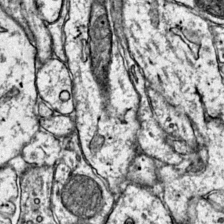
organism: Mouse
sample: Primary visual cortex